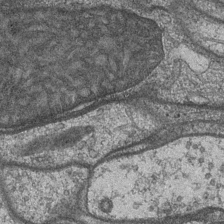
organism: Drosophila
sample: Optic medulla